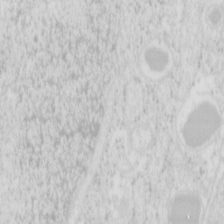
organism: Mouse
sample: Pancreas